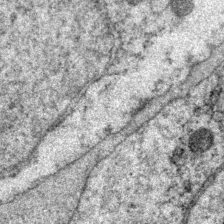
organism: P. pacificus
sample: Pharynx